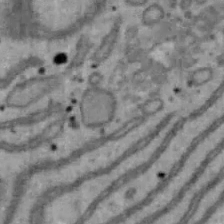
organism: Mouse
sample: Liver